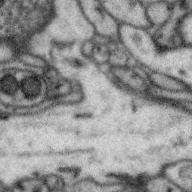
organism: Zebra finch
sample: Brain